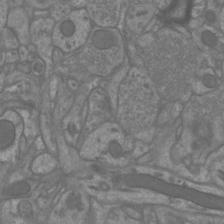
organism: Mouse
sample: Cortical neurons